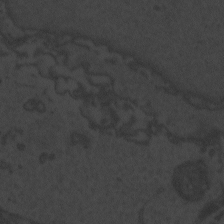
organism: Zebrafish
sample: Macrophage infected with Toxoplasma gondii